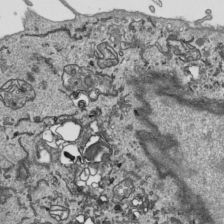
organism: Human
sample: Mitochondria in HCT116 cells